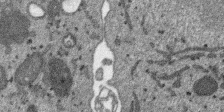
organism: Human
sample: Lung epithelial cells infected with SARS-CoV-2